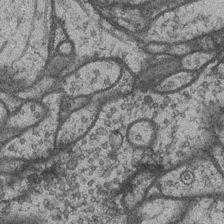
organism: Drosophila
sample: Optic medulla